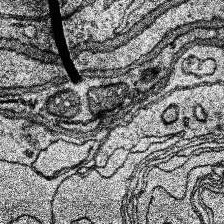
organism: Human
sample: Temporal Lobe